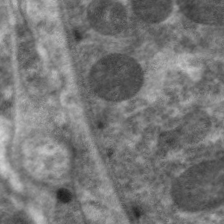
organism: C. elegans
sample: Pharynx